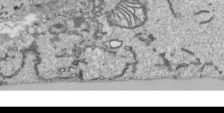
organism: Human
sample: Mitochondria in HCT116 cells